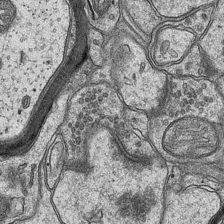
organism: Mouse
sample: CA1 Hippocampus